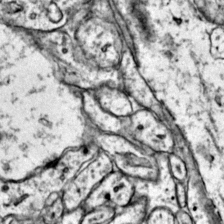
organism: Mouse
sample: Primary visual cortex